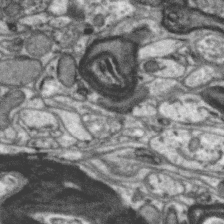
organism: Zebra finch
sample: Brain